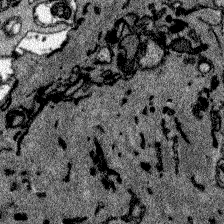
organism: Zebrafish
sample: Larval olfactory bulb